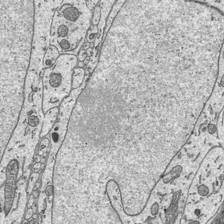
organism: Mouse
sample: Suprachiasmatic nucleus